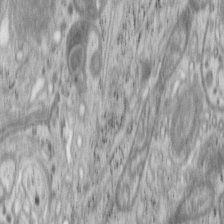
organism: Human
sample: HeLa cells